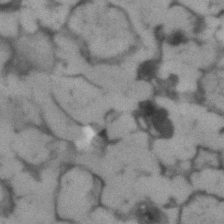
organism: Human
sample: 1205lu cells